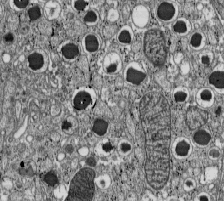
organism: C57BL Mouse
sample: Pancreatic islet